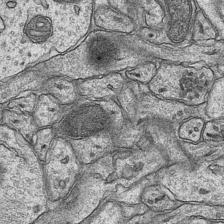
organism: Mouse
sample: CA1 Hippocampus